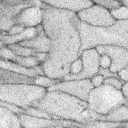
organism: Rabbit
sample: Retina